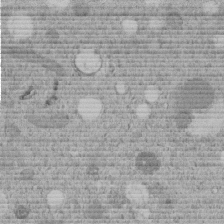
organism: C. elegans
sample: C. elegans embryo early stage